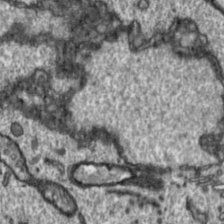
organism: Toxoplasma gondii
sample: Parasites in a vacuole inside a host cell